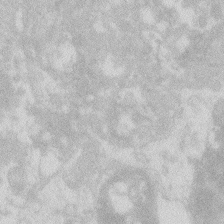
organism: Zebrafish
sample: Macrophage